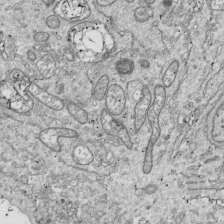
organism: Drosophila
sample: Cell division; meiosis; drosophila spermatocytes